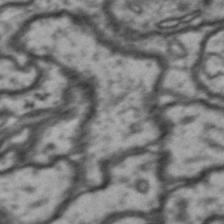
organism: Drosophila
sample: Brain